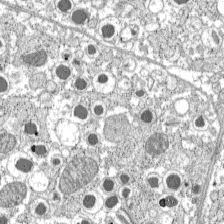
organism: C57BL Mouse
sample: Pancreatic islet